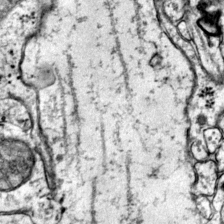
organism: Mouse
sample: Primary visual cortex